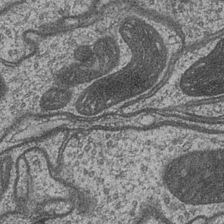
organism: Drosophila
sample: Optic medulla